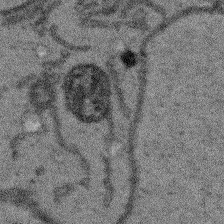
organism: Arabidopsis thaliana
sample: Root tip